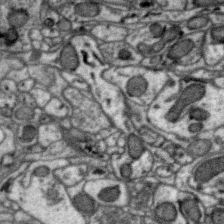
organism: Zebra finch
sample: Brain